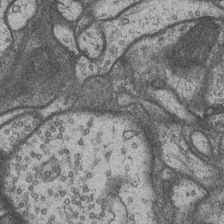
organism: Drosophila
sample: Optic medulla